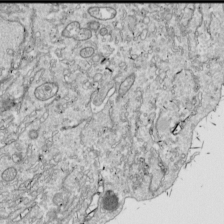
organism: Drosophila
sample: Cell division; meiosis; drosophila spermatocytes